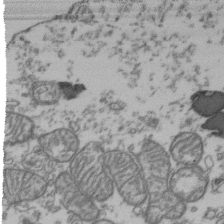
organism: Human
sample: Activated Jurkat CD4+ T cells